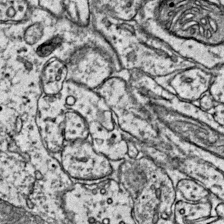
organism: Mouse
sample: Primary visual cortex